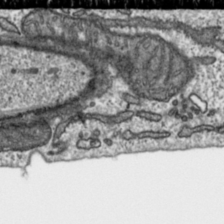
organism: Toxoplasma gondii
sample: Parasites in a vacuole inside a host cell